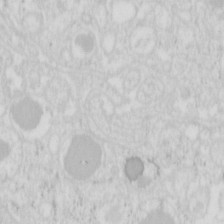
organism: Mouse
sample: Pancreas